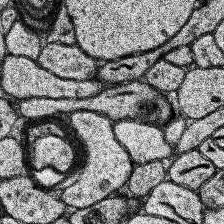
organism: Human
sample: Temporal Lobe